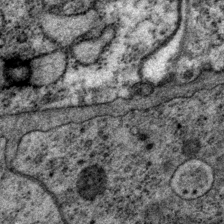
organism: P. pacificus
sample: Pharynx